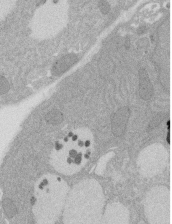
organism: Rat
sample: Salivary granule